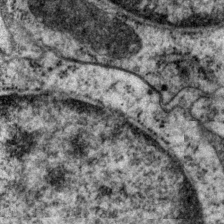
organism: P. pacificus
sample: Pharynx